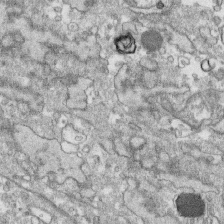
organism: Human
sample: CRL-1474